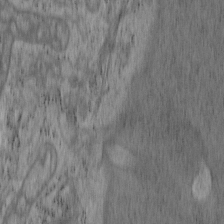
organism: Human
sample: HeLa cells